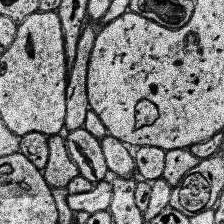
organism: Human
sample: Temporal Lobe